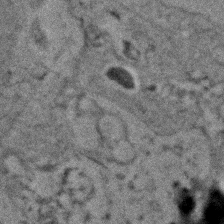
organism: Zebrafish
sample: Zebrafish embryo